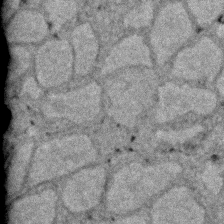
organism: Zebrafish